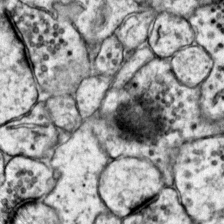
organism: Mouse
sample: Primary visual cortex